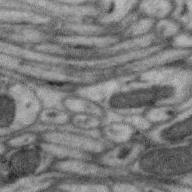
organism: Zebra finch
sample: Brain